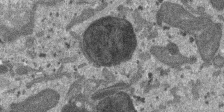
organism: Human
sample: Lung epithelial cells infected with SARS-CoV-2